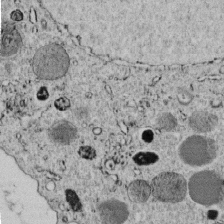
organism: C. elegans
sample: C. elegans embryo early stage